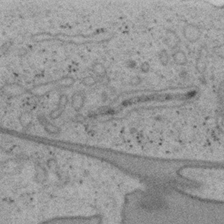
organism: Human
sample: HeLa cells